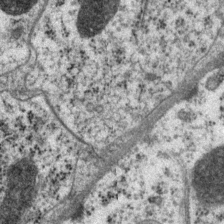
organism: P. pacificus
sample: Pharynx